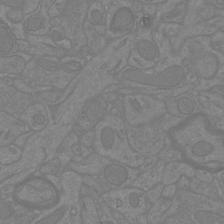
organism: Mouse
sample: Cortical neurons